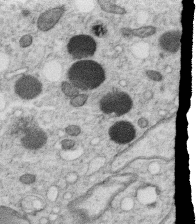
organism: C. elegans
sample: C. elegans oocyte; sperm cells